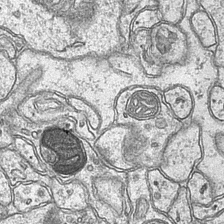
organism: Mouse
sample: CA1 Hippocampus